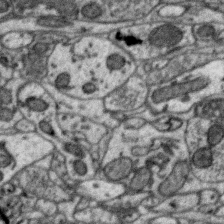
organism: Zebra finch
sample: Brain